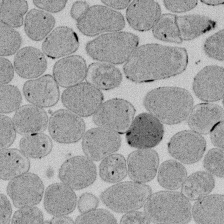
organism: E. coli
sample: Bacterial nucleoid